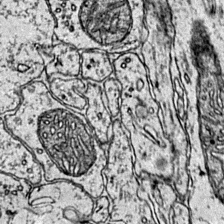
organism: Mouse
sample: Primary visual cortex